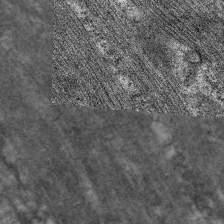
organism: C. elegans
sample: Pharynx